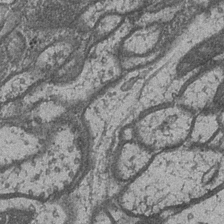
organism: Drosophila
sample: Optic medulla